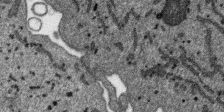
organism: Human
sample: Lung epithelial cells infected with SARS-CoV-2